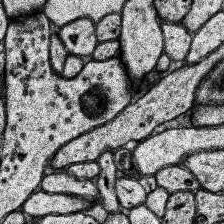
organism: Human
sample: Temporal Lobe